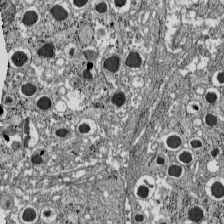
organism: C57BL Mouse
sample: Pancreatic islet